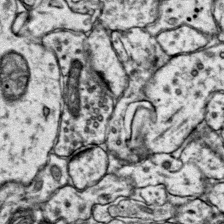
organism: Mouse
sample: Primary visual cortex